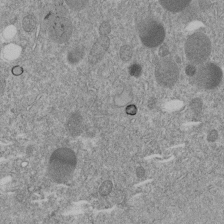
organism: C. elegans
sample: C. elegans embryo early stage